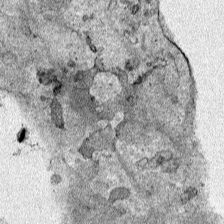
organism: Human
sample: Mitochondria in HCT116 cells